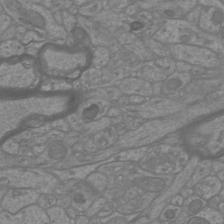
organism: Mouse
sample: Cortical neurons